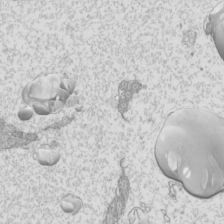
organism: Mouse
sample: Cilia; mouse epididymis